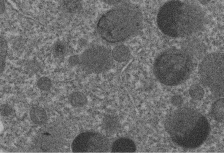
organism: C. elegans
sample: C. elegans embryo early stage